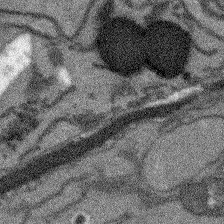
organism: Arabidopsis thaliana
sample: Root tip